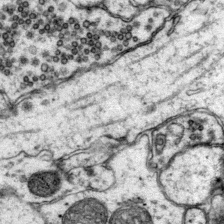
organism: Mouse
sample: Primary visual cortex